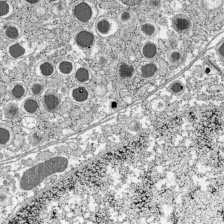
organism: C57BL Mouse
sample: Pancreatic islet